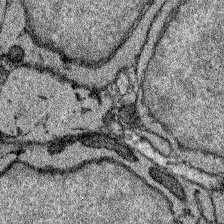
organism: Zebrafish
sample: Larval olfactory bulb